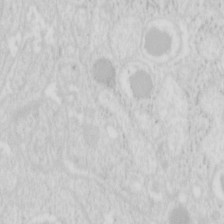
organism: Mouse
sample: Pancreas